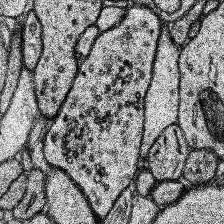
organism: Human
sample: Temporal Lobe